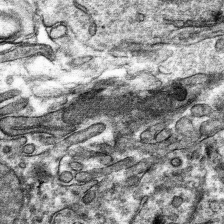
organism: Mouse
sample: Mouse hepatocytes